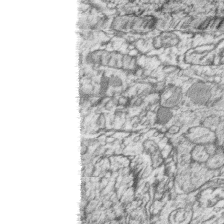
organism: Zebrafish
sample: synaptic ribbons in rod cells and cone cells